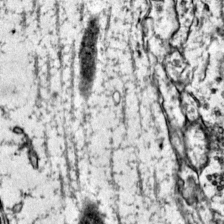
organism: Mouse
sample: Primary visual cortex